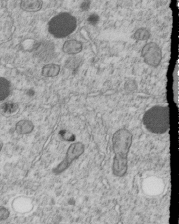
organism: C. elegans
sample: C. elegans embryo early stage